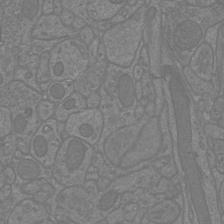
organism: Mouse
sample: Cortical neurons